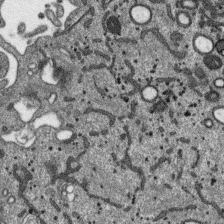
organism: Human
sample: Lung epithelial cells infected with SARS-CoV-2